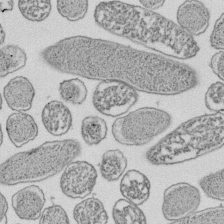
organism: E. coli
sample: Bacterial nucleoid